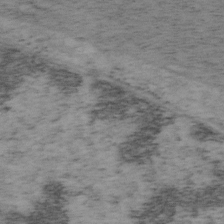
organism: Mouse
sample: OT-I killer T cells with ID8 ovarian cancer cells